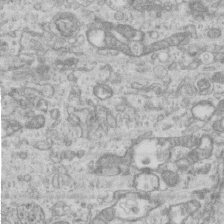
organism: Mouse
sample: Centriole in ependymal cells